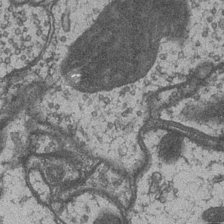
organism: Drosophila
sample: Optic medulla